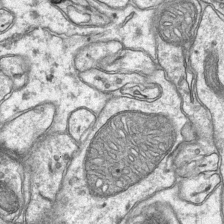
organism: Mouse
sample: CA1 Hippocampus